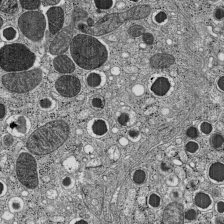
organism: C57BL Mouse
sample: Pancreatic islet